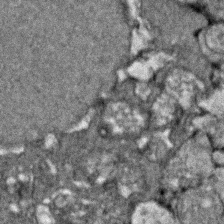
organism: Zebrafish